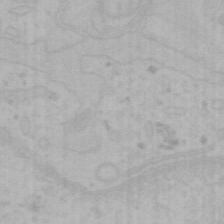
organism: Mouse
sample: Choroid plexus